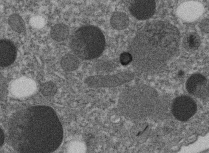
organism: C. elegans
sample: C. elegans embryo early stage